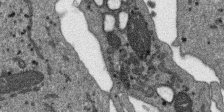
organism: Human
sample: Lung epithelial cells infected with SARS-CoV-2